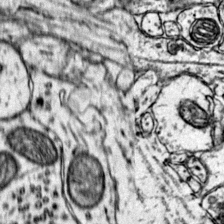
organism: Mouse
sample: Primary visual cortex